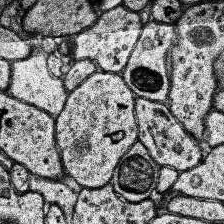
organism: Human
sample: Temporal Lobe